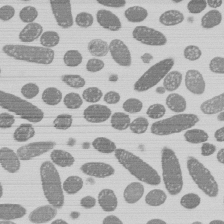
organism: E. coli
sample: Bacterial nucleoid